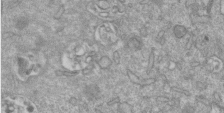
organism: Mouse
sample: ED-1 cell nuclei; centrioles